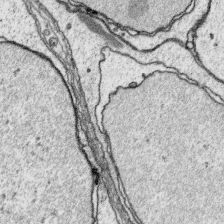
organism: Platynereis dumerilii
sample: Parapodia